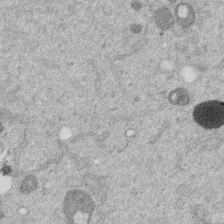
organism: Mouse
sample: Dividing mouse embryo 1 cell stage